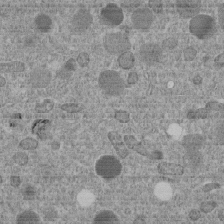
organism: C. elegans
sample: C. elegans embryo early stage